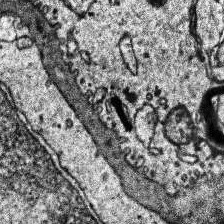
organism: Human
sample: Temporal Lobe